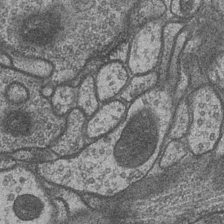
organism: Drosophila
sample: Optic medulla